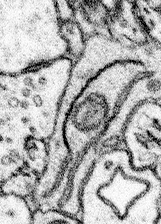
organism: Mouse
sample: Somatosensory cortex neuropil